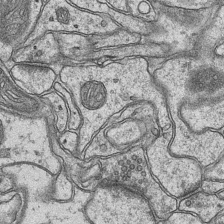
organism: Mouse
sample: CA1 Hippocampus